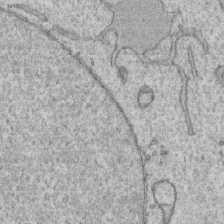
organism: Human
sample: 1205lu cells